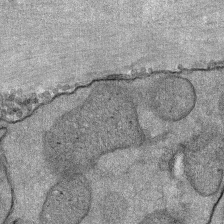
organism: Mouse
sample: Mouse Salivary gland